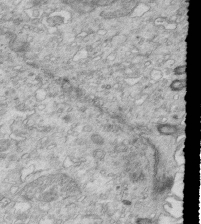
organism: Mouse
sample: Multiciliated cells